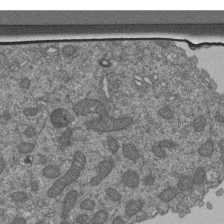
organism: Human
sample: Retinal organoid Rod and Cone cells